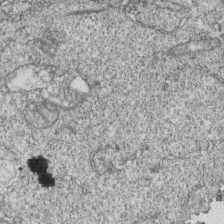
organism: Human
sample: HeLa cell HIV synapse